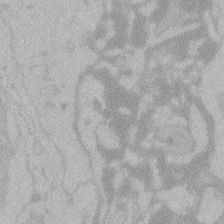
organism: Zebrafish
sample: Macrophage infected with Toxoplasma gondii